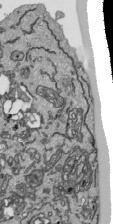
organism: Human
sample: Mitochondria in HCT116 cells